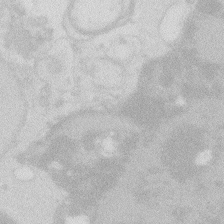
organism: Zebrafish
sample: Macrophage